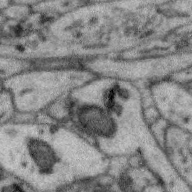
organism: Zebra finch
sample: Brain